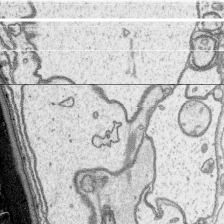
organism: Platynereis dumerilii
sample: Parapodia